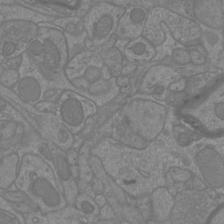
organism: Mouse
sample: Cortical neurons